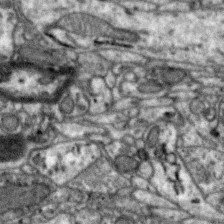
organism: Zebra finch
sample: Brain